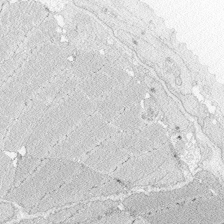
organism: Zebrafish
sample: Whole-Brain